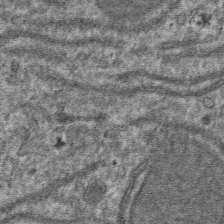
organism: Mouse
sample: Mouse hepatocytes